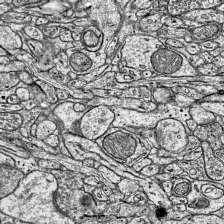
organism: Mouse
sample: Visual Cortex